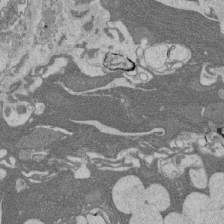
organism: Rat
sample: Salivary granule